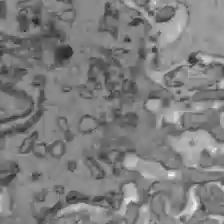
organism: C57BL Mouse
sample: Liver